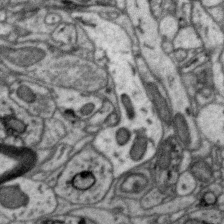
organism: Zebra finch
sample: Brain